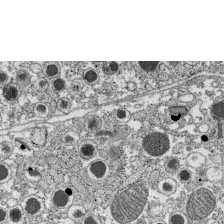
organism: C57BL Mouse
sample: Pancreatic islet